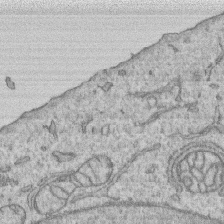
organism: Human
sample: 1205lu cells